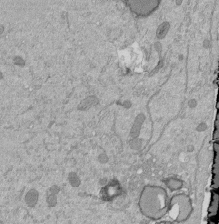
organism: Mouse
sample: ED-1 cell nuclei; centrioles